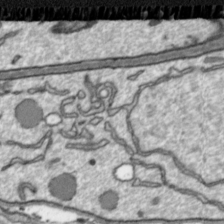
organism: Toxoplasma gondii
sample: Parasites in a vacuole inside a host cell